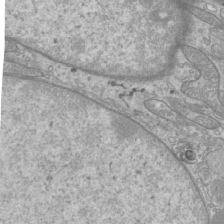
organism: Mouse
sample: Cilia; mouse epididymis